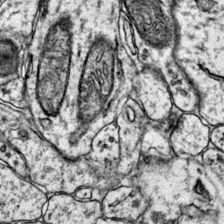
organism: Mouse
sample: Primary visual cortex